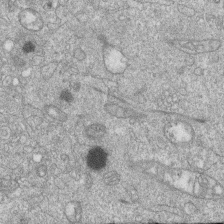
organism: Human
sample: HeLa cell HIV synapse